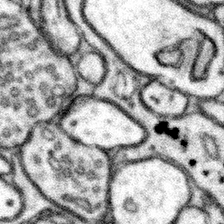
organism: Mouse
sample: Somatosensory cortex neuropil